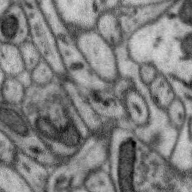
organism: Zebra finch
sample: Brain